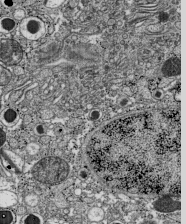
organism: C57BL Mouse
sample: Pancreatic islet